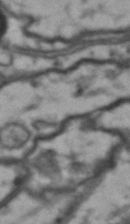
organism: Drosophila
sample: Brain